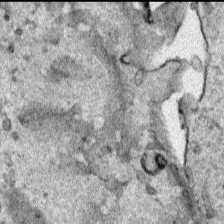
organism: Human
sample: Mitochondria in HCT116 cells